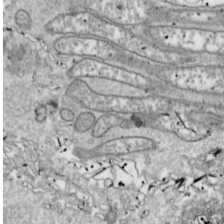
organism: Drosophila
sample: Cell division; meiosis; drosophila spermatocytes